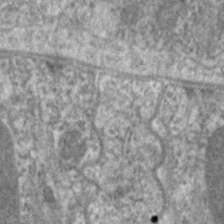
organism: C. elegans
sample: Pharynx